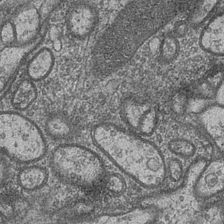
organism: Drosophila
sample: Optic medulla